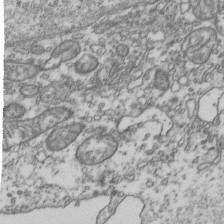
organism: Human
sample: Activated Jurkat CD4+ T cells